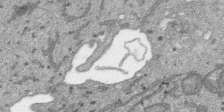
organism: Human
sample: Lung epithelial cells infected with SARS-CoV-2